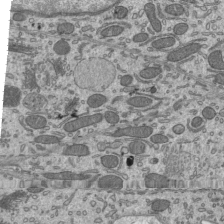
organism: Mouse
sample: Mouse epididymis efferent ductule cilia